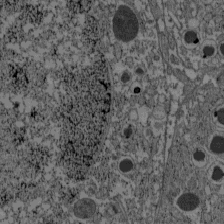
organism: C57BL Mouse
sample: Pancreatic islet